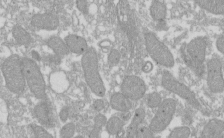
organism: Xenopus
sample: Cilia; centrioles in frog embryo cells